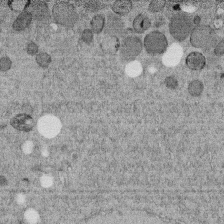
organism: C. elegans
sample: C. elegans embryo early stage